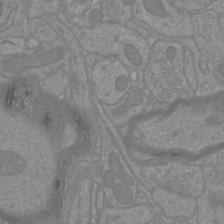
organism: Mouse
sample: Cortical neurons